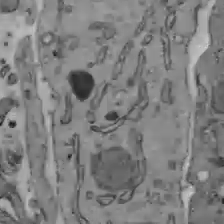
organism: C57BL Mouse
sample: Liver